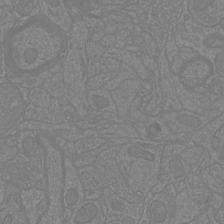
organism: Mouse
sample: Cortical neurons